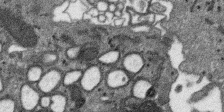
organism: Human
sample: Lung epithelial cells infected with SARS-CoV-2